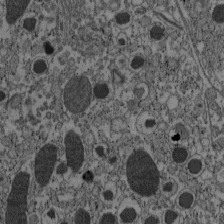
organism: C57BL Mouse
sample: Pancreatic islet